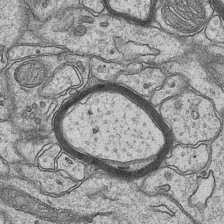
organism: Mouse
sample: CA1 Hippocampus